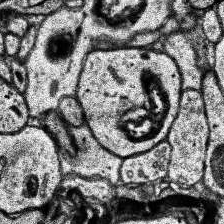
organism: Human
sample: Temporal Lobe